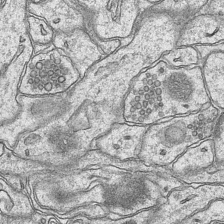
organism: Mouse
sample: CA1 Hippocampus